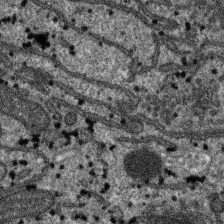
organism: Human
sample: Lung epithelial cells infected with SARS-CoV-2